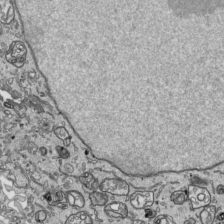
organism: Human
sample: Mitochondria in HCT116 cells